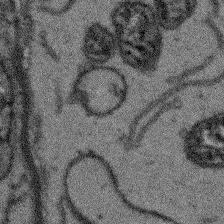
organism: Arabidopsis thaliana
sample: Root tip